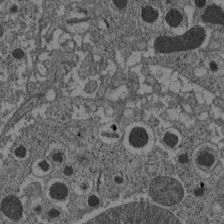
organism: C57BL Mouse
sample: Pancreatic islet